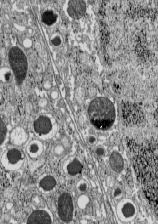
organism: C57BL Mouse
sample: Pancreatic islet